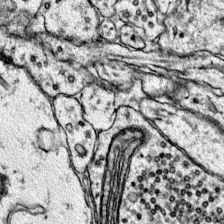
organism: Mouse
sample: Primary visual cortex